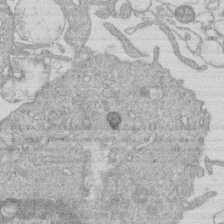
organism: Human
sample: Macrophage cells